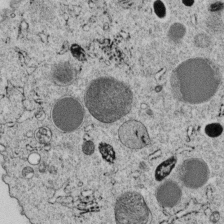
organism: C. elegans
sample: C. elegans embryo early stage